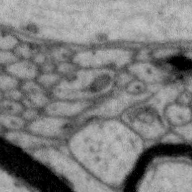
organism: Zebra finch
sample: Brain